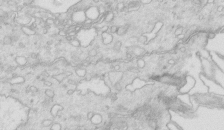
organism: Mouse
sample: Multiciliated cells